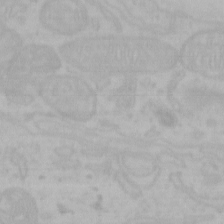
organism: Mouse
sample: Choroid plexus